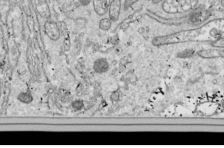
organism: Drosophila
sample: Cell division; meiosis; drosophila spermatocytes